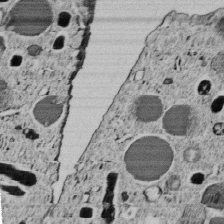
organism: C. elegans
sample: C. elegans embryo early stage